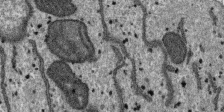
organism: Human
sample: Lung epithelial cells, uninfected (mock) control